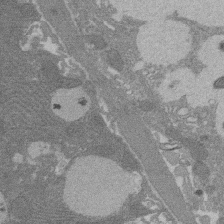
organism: Rat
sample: Salivary granule